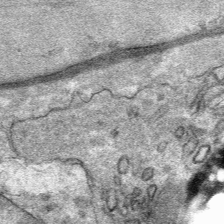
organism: Mouse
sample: Mouse Salivary gland